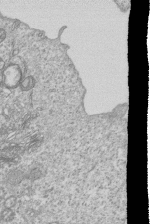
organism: Human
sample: MDA-MB-231 cells